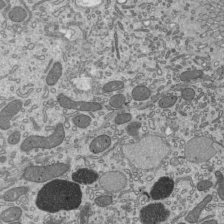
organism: Mouse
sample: Mouse epididymis efferent ductule cilia